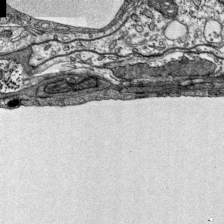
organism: Mouse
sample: Visual Cortex